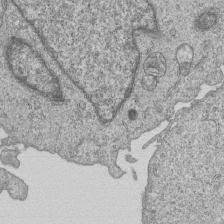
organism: Human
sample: MDA-MB-231 cells